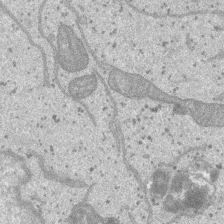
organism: Human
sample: Lung epithelial cells infected with SARS-CoV-2